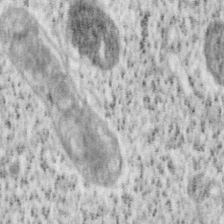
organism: Mouse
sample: OT-I killer T cells with ID8 ovarian cancer cells